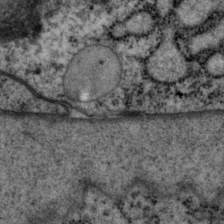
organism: P. pacificus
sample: Pharynx